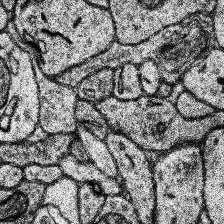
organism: Human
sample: Temporal Lobe